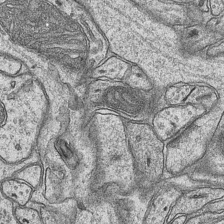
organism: Mouse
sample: CA1 Hippocampus